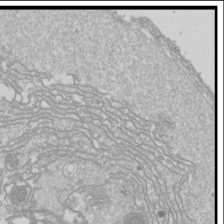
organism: Drosophila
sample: Cell division; meiosis; drosophila spermatocytes